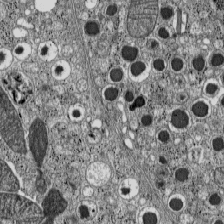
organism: C57BL Mouse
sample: Pancreatic islet